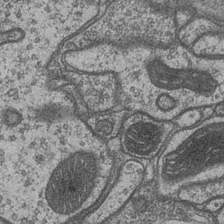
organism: Drosophila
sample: Optic medulla